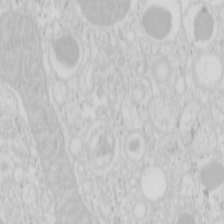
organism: Mouse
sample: Pancreas